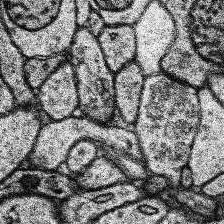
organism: Human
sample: Temporal Lobe